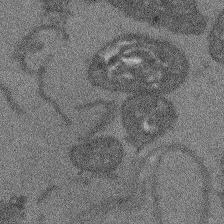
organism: Arabidopsis thaliana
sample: Root tip